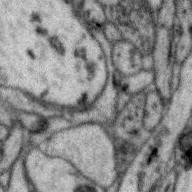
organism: Zebra finch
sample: Brain